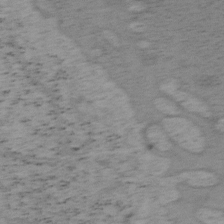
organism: Mouse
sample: OT-I killer T cells with ID8 ovarian cancer cells